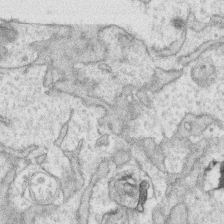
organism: Human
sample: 1205lu cells